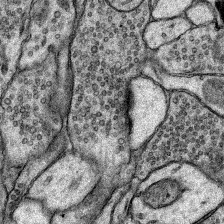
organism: Rat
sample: Hippocampus